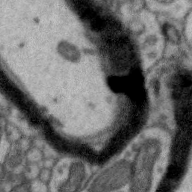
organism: Zebra finch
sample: Brain